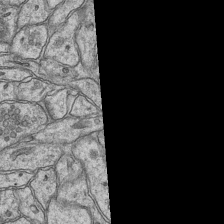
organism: Mouse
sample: CA1 Hippocampus